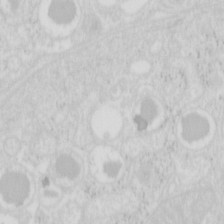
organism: Mouse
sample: Pancreas